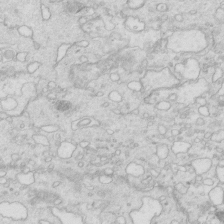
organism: Mouse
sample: Multiciliated cells